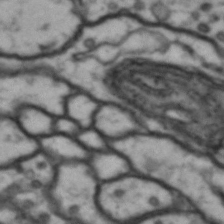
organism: Drosophila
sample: Brain